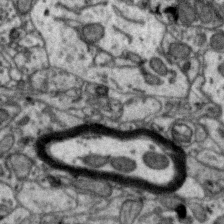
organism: Zebra finch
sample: Brain